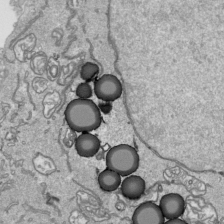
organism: Human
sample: Mitochondria in HCT116 cells